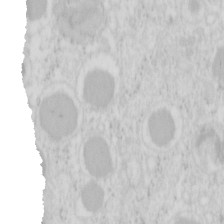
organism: Mouse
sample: Pancreas